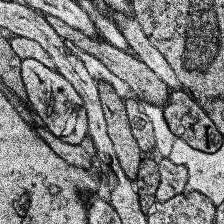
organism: Human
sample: Temporal Lobe